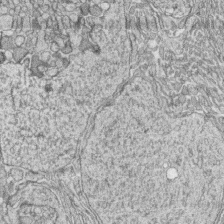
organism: Zebrafish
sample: synaptic ribbons in rod cells and cone cells